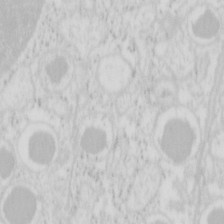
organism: Mouse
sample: Pancreas